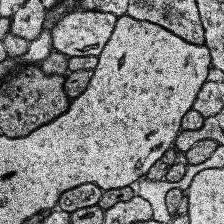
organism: Human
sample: Temporal Lobe